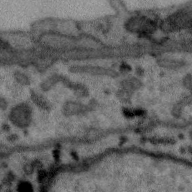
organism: Zebra finch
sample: Brain